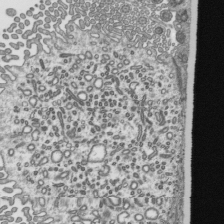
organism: Mouse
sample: Mouse epididymis efferent ductule cilia